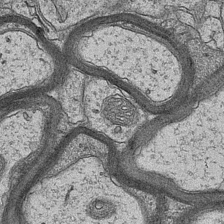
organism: Mouse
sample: CA1 Hippocampus